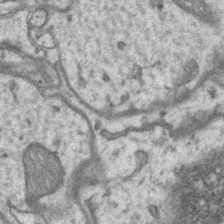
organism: Mouse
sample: CA1 Hippocampus